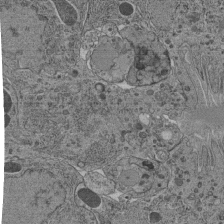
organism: C. elegans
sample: C. elegans pharynx